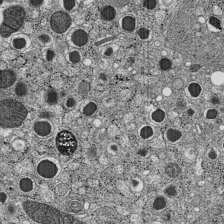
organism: C57BL Mouse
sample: Pancreatic islet